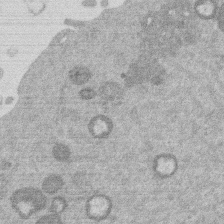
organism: Mouse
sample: Dividing mouse embryo 1 cell stage